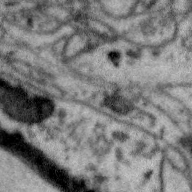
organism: Zebra finch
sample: Brain